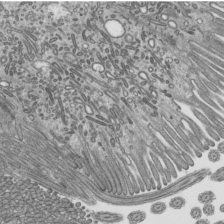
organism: Mouse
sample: Mouse epididymis efferent ductule cilia